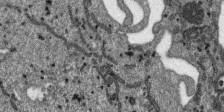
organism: Human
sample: Lung epithelial cells infected with SARS-CoV-2